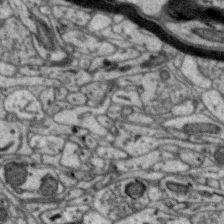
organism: Zebra finch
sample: Brain